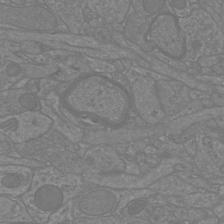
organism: Mouse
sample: Cortical neurons